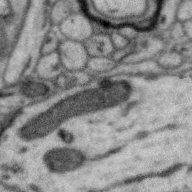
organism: Zebra finch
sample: Brain